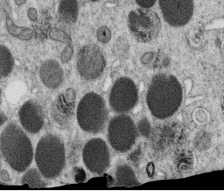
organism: C. elegans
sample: C. elegans oocyte; sperm cells